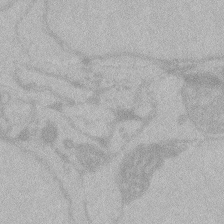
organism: Zebrafish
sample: Macrophage infected with Toxoplasma gondii